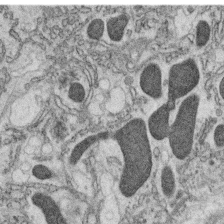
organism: C. elegans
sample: C. elegans oocyte; sperm cells